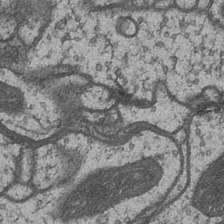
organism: Drosophila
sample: Optic medulla